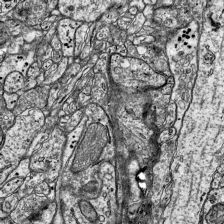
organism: Mouse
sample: Visual Cortex